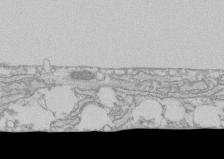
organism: Human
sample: CRL-1474